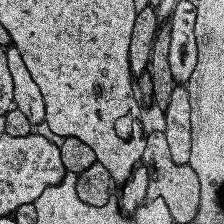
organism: Human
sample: Temporal Lobe